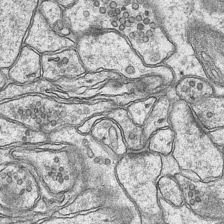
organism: Mouse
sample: CA1 Hippocampus